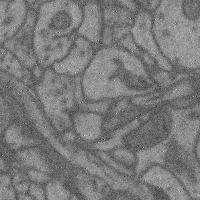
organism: Mouse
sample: Cerebral cortex